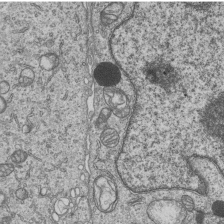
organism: Human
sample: MDA-MB-231 cells